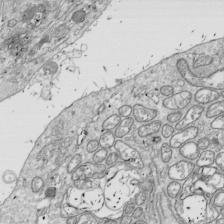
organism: Drosophila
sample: Cell division; meiosis; drosophila spermatocytes